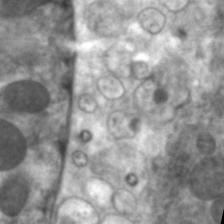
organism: C. elegans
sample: Pharynx